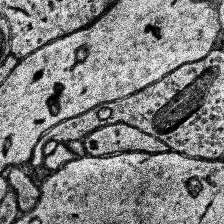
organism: Human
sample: Temporal Lobe